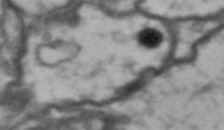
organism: Drosophila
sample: Brain